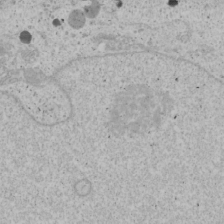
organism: Human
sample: Mitochondria in U2OS cells